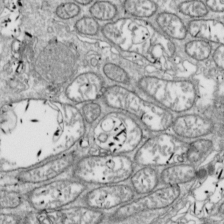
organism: Drosophila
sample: Cell division; meiosis; drosophila spermatocytes